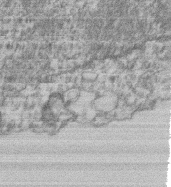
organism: Mouse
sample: T cell stromal cell synapse